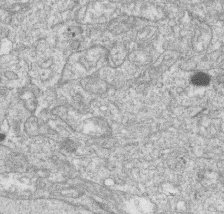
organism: Human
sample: HeLa cell HIV synapse